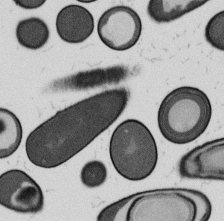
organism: B. subtilis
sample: Bacterial spore